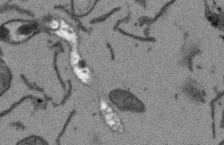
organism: Arabidopsis thaliana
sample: Root tip